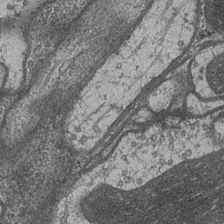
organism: Drosophila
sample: Optic medulla